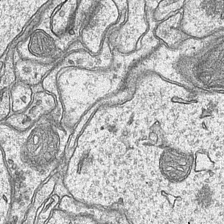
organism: Mouse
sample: CA1 Hippocampus